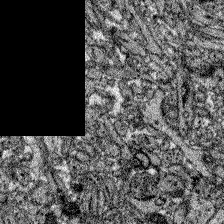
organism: Zebrafish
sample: Larval olfactory bulb